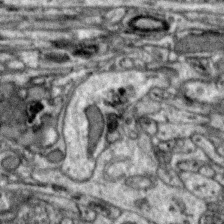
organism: Zebra finch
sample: Brain